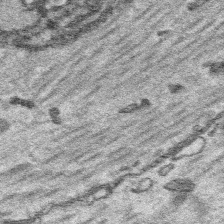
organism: Platynereis dumerilii